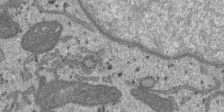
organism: Human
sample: Lung epithelial cells infected with SARS-CoV-2